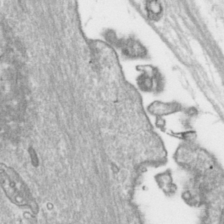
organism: Toxoplasma gondii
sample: Parasites in a vacuole inside a host cell